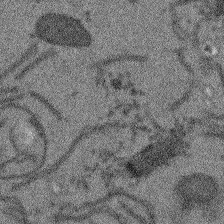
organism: Arabidopsis thaliana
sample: Root tip